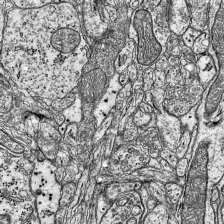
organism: Mouse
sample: Visual Cortex